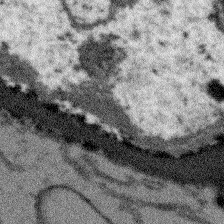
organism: Arabidopsis thaliana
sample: Root tip